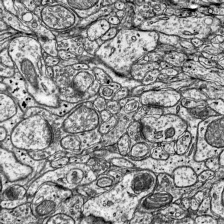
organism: Mouse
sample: Visual Cortex